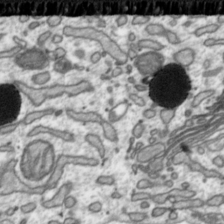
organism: Toxoplasma gondii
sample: Parasites in a vacuole inside a host cell